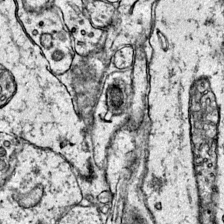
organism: Mouse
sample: Primary visual cortex